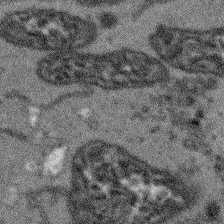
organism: Arabidopsis thaliana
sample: Root tip